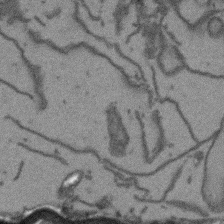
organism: Arabidopsis thaliana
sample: Root tip